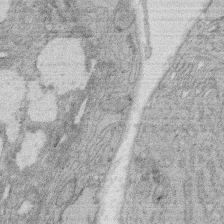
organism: Rat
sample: Salivary granule